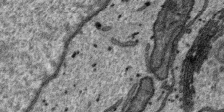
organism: Human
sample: Lung epithelial cells, uninfected (mock) control